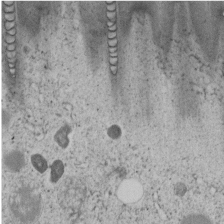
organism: C. elegans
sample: C. elegans embryo early stage